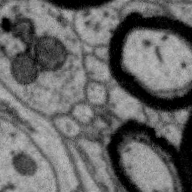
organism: Zebra finch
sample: Brain